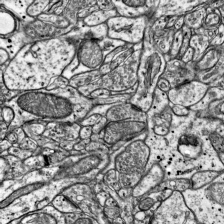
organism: Mouse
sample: Visual Cortex